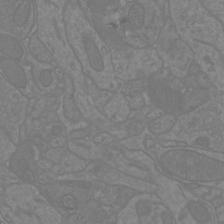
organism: Mouse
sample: Cortical neurons